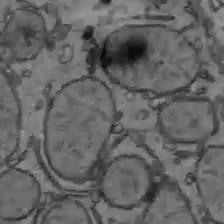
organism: C57BL Mouse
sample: Liver